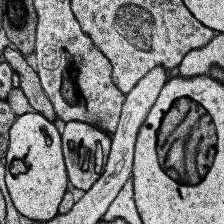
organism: Human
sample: Temporal Lobe